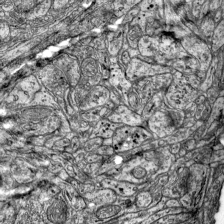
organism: Mouse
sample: Visual Cortex